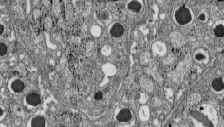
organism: C57BL Mouse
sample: Pancreatic islet